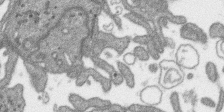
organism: Human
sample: Lung epithelial cells infected with SARS-CoV-2